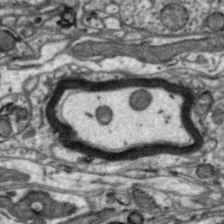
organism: Zebra finch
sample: Brain